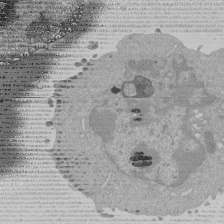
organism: Mouse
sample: Activated Pmel transgenic CD8+ T Cells